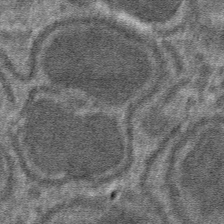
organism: Mouse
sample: Mouse hepatocytes